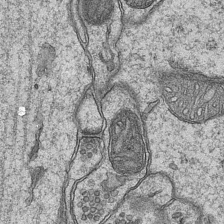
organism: Mouse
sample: CA1 Hippocampus